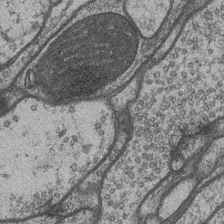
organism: Drosophila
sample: Optic medulla